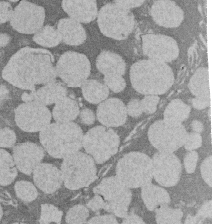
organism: Rat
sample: Salivary granule